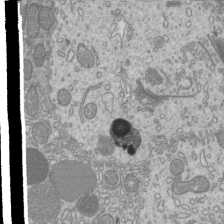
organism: Mouse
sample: Cilia; mouse epididymis